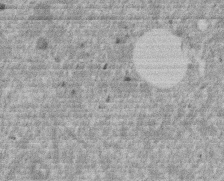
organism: Mouse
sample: Dividing mouse embryo 1 cell stage